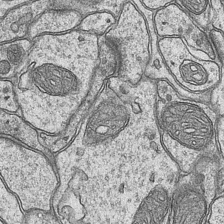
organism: Mouse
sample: CA1 Hippocampus